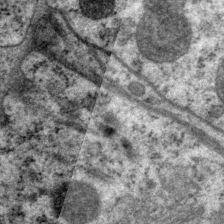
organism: P. pacificus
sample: Pharynx